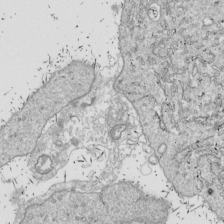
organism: Drosophila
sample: Cell division; meiosis; drosophila spermatocytes